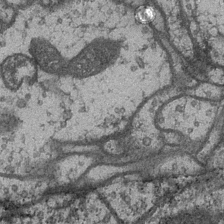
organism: Drosophila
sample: Optic medulla